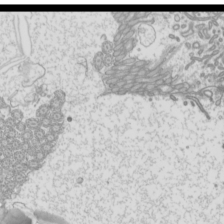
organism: Mouse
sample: Cilia; mouse epididymis